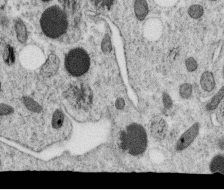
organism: C. elegans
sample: C. elegans oocyte; sperm cells